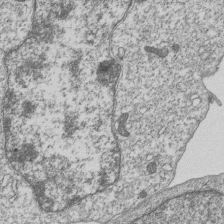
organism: Human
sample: MDA-MB-231 cells